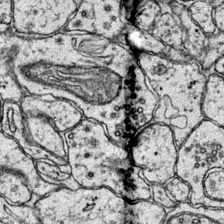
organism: Mouse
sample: Primary visual cortex